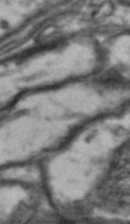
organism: Drosophila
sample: Brain